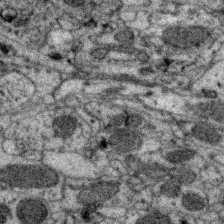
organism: Zebra finch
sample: Brain